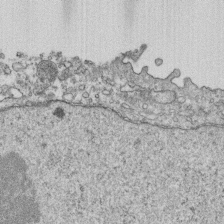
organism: Human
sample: HeLa cell HIV synapse